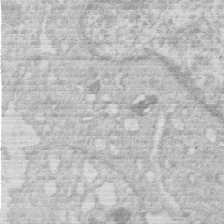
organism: Human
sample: Macrophage cells